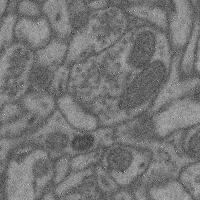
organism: Mouse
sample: Cerebral cortex